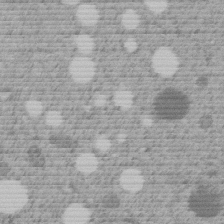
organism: C. elegans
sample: C. elegans embryo early stage